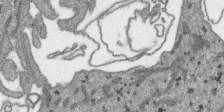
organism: Human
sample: Lung epithelial cells infected with SARS-CoV-2